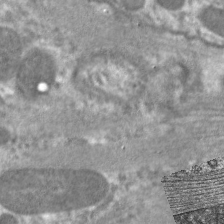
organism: C. elegans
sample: Pharynx